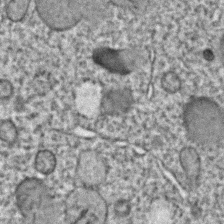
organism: C. elegans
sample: C. elegans embryo